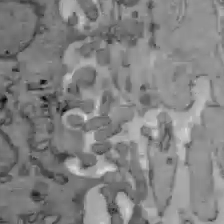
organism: C57BL Mouse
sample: Liver